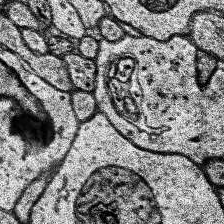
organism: Human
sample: Temporal Lobe